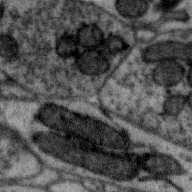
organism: Zebra finch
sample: Brain